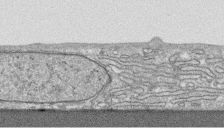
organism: Human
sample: CRL-1474